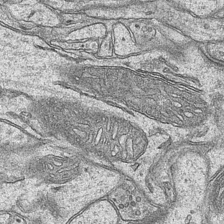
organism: Mouse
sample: CA1 Hippocampus